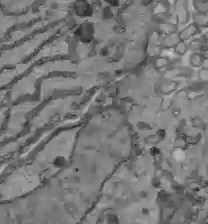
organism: C57BL Mouse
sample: Liver